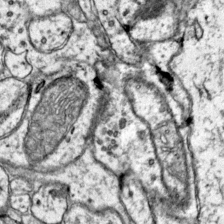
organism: Mouse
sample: Primary visual cortex